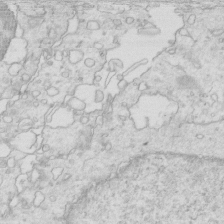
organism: Mouse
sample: Multiciliated cells